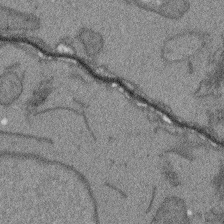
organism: Arabidopsis thaliana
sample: Root tip